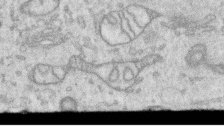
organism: Human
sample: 1205lu cells